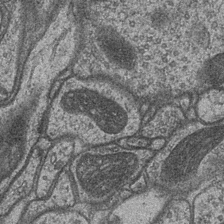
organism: Drosophila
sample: Optic medulla